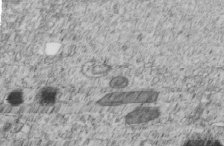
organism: C. elegans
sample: C. elegans embryo early stage